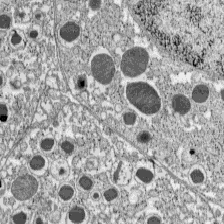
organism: C57BL Mouse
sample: Pancreatic islet